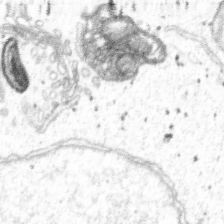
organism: Human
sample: HeLa cells